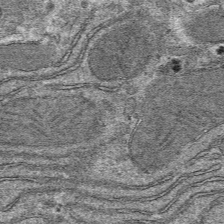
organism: Mouse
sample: Mouse hepatocytes